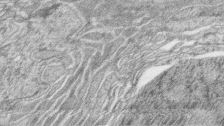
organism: Zebrafish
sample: synaptic ribbons in rod cells and cone cells